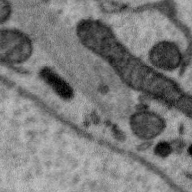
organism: Zebra finch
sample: Brain